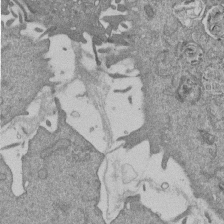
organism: Mouse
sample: ED-1 cell nuclei; centrioles